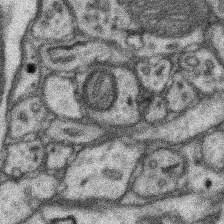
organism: Mouse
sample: Somatosensory cortex neuropil